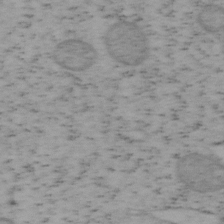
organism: Mouse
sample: OT-I killer T cells with ID8 ovarian cancer cells